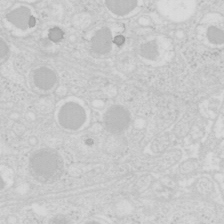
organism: Mouse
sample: Pancreas